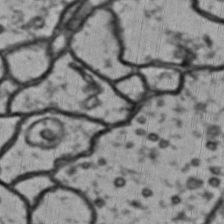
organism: Drosophila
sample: Brain